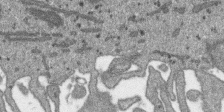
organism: Human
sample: Lung epithelial cells infected with SARS-CoV-2